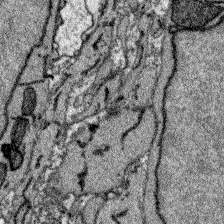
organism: Zebrafish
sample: Larval olfactory bulb